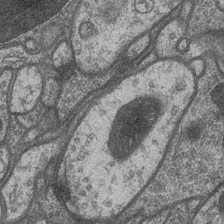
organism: Drosophila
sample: Optic medulla